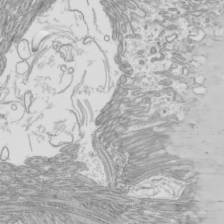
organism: Mouse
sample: Cilia; mouse epididymis